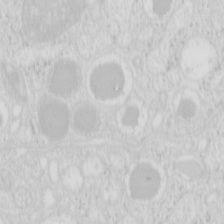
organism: Mouse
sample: Pancreas